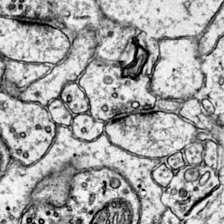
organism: Mouse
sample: Primary visual cortex